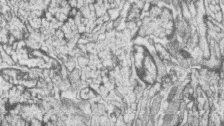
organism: Zebrafish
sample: synaptic ribbons in rod cells and cone cells